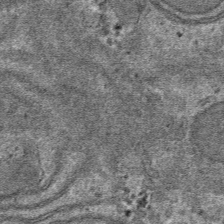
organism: Mouse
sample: Mouse hepatocytes